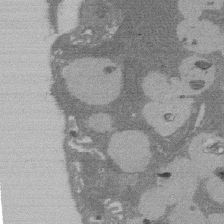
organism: Rat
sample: Salivary granule